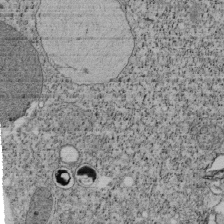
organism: Tetrahymena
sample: Cilia in tetrahymena